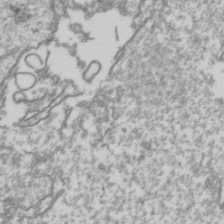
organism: Drosophila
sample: Cell division; meiosis; drosophila spermatocytes